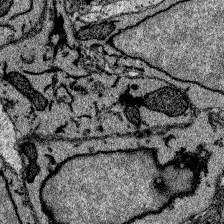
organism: Zebrafish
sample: Larval olfactory bulb